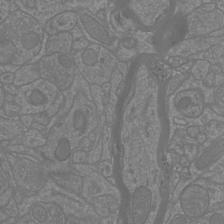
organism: Mouse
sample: Cortical neurons